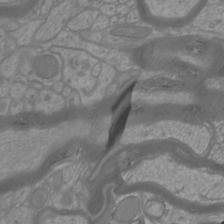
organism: Mouse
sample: Cortical neurons